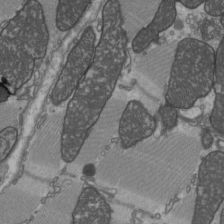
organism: C57BL Mouse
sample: Heart